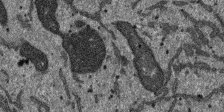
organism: Human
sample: Lung epithelial cells infected with SARS-CoV-2